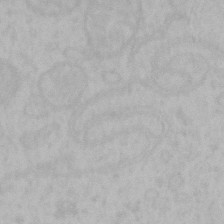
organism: Mouse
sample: Choroid plexus